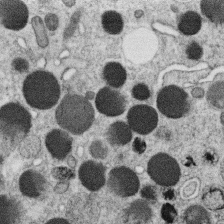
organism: C. elegans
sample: C. elegans oocyte; sperm cells